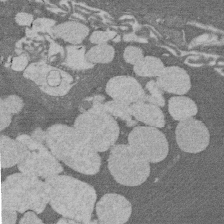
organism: Rat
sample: Salivary granule